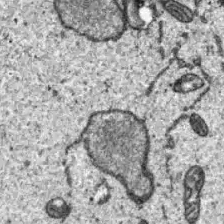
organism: Human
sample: HeLa cells